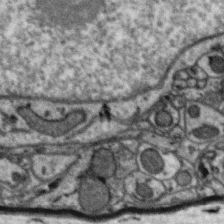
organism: Zebra finch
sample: Brain